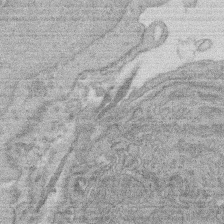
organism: Rat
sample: Salivary granule